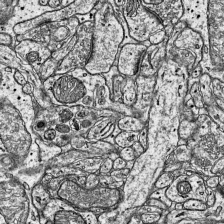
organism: Mouse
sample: Visual Cortex